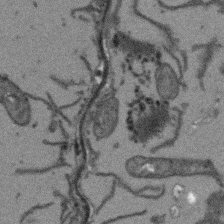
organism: Arabidopsis thaliana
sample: Root tip